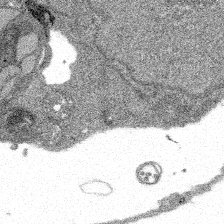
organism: Spongilla lacustris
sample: Multiple